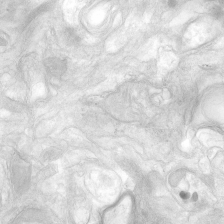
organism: Human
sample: Neocortex